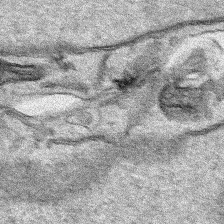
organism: Human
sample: Mitochondria in HCT116 cells